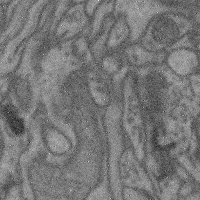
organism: Mouse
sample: Cerebral cortex